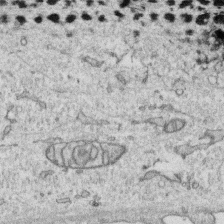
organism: Human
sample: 1205lu cells